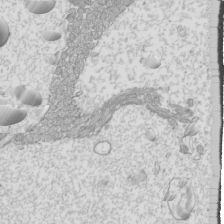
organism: Mouse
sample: Cilia; mouse epididymis